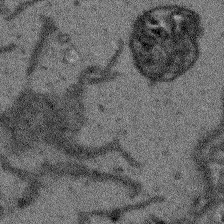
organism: Arabidopsis thaliana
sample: Root tip